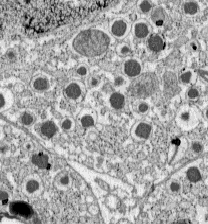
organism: C57BL Mouse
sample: Pancreatic islet